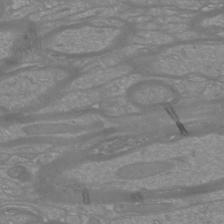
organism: Mouse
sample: Cortical neurons